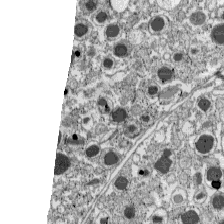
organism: C57BL Mouse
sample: Pancreatic islet